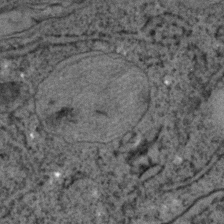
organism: C. elegans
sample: C. elegans embryo